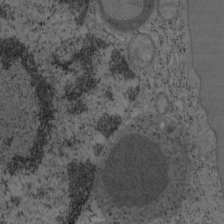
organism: Mouse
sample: OT-I killer T cells with ID8 ovarian cancer cells